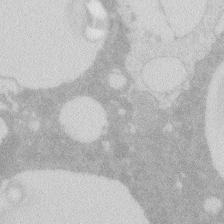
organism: Zebrafish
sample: Macrophage